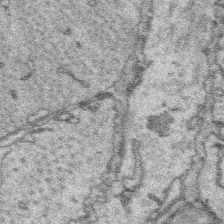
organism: Platynereis dumerilii